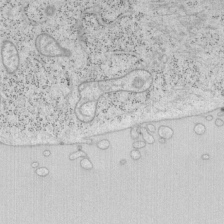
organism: Mouse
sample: OT-I killer T cells with ID8 ovarian cancer cells